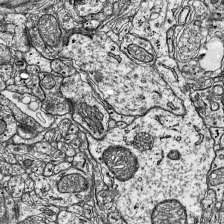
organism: Mouse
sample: Visual Cortex